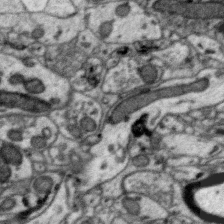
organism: Zebra finch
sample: Brain